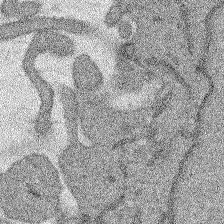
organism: Human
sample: HeLa cells